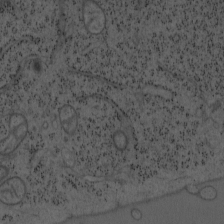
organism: Mouse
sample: OT-I killer T cells with ID8 ovarian cancer cells